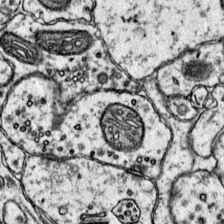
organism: Mouse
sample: Primary visual cortex